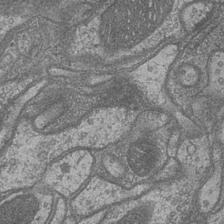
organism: Drosophila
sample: Optic medulla